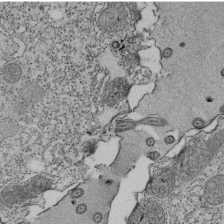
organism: Tetrahymena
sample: Cilia in tetrahymena